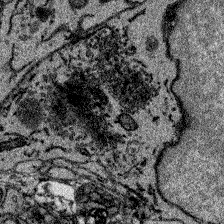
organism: Zebrafish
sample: Larval olfactory bulb